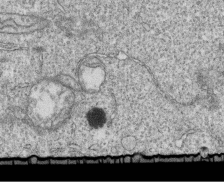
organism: Human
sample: HeLa cell HIV synapse